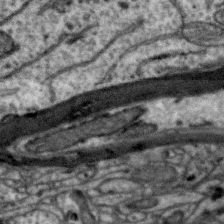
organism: Zebra finch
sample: Brain